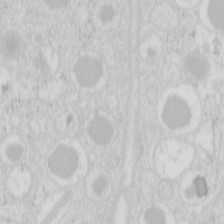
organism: Mouse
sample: Pancreas